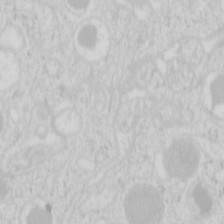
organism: Mouse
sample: Pancreas